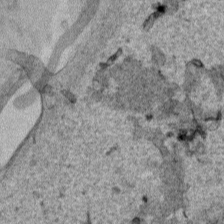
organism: Human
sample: Mitochondria in HCT116 cells